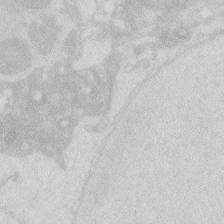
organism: Zebrafish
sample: Macrophage